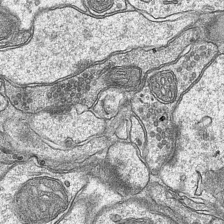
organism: Mouse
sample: CA1 Hippocampus